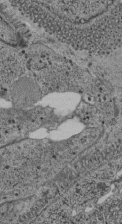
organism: C. elegans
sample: C. elegans pharynx